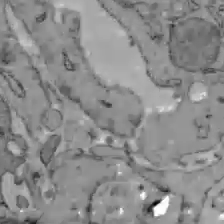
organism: C57BL Mouse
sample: Liver